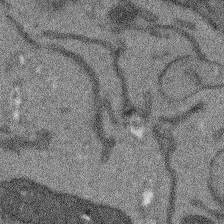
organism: Arabidopsis thaliana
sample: Root tip